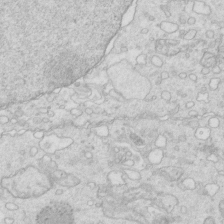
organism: Mouse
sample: Multiciliated cells